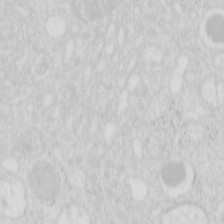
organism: Mouse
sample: Pancreas